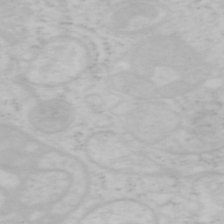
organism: Mouse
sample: OT-I killer T cells with ID8 ovarian cancer cells